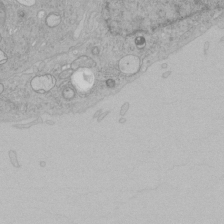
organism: Human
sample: Mitochondria in HCT116 cells